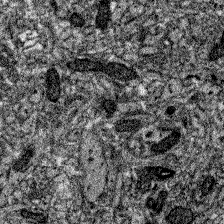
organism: Zebrafish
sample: Larval olfactory bulb